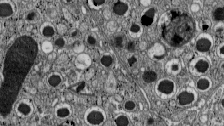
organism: C57BL Mouse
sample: Pancreatic islet